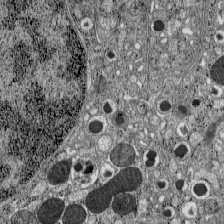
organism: C57BL Mouse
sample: Pancreatic islet